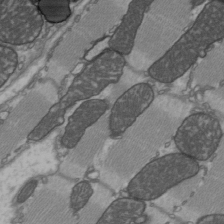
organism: C57BL Mouse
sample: Heart